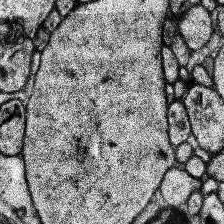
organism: Human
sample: Temporal Lobe